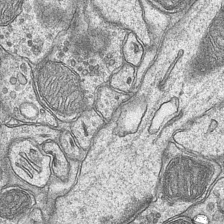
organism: Mouse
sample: CA1 Hippocampus